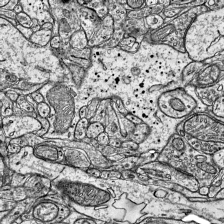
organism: Mouse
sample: Visual Cortex